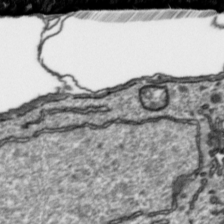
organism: Toxoplasma gondii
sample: Parasites in a vacuole inside a host cell